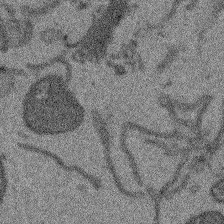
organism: Arabidopsis thaliana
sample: Root tip